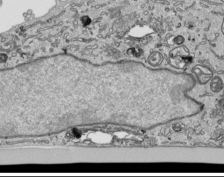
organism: Human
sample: Mitochondria in HCT116 cells